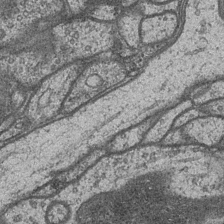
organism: Drosophila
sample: Optic medulla